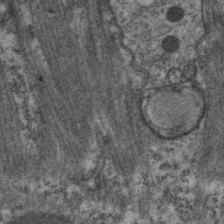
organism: C. elegans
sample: Pharynx